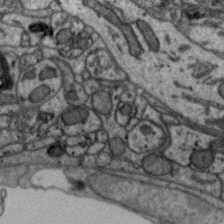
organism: Zebra finch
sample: Brain